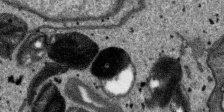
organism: Human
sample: Lung epithelial cells, uninfected (mock) control